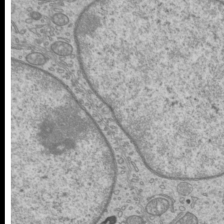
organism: Mouse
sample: Cilia; mouse epididymis